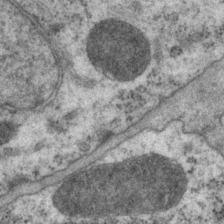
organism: P. pacificus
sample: Pharynx